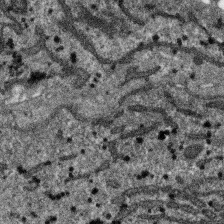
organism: Human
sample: Lung epithelial cells infected with SARS-CoV-2